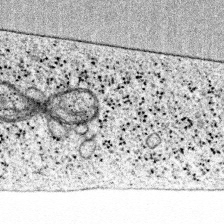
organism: Human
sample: HeLa cells